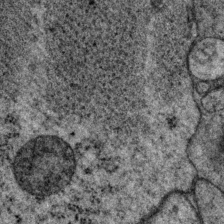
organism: P. pacificus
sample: Pharynx